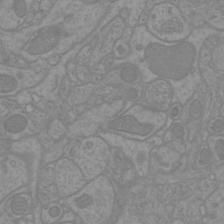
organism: Mouse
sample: Cortical neurons